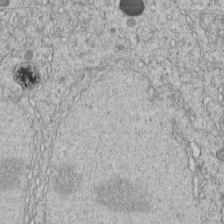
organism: C. elegans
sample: C. elegans embryo early stage